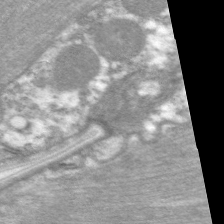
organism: C. elegans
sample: Pharynx